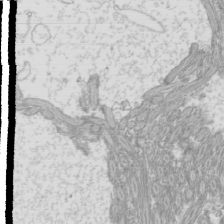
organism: Mouse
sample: Cilia; mouse epididymis